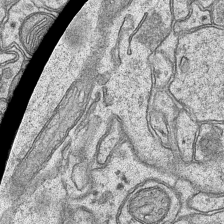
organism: Mouse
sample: CA1 Hippocampus